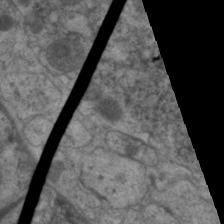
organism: C. elegans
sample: Pharynx